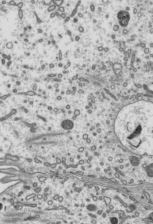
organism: Mouse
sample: Mouse epididymis efferent ductule cilia